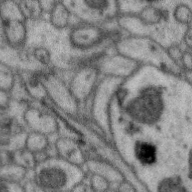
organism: Zebra finch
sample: Brain